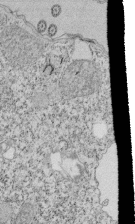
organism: Tetrahymena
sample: Cilia in tetrahymena